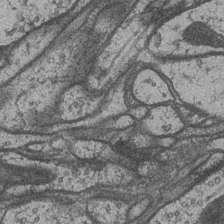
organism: Drosophila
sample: Optic medulla